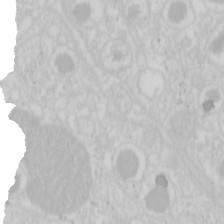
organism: Mouse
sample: Pancreas